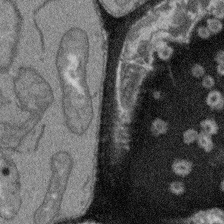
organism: Arabidopsis thaliana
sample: Root tip